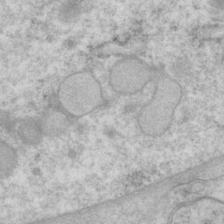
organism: P. pacificus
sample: Pharynx